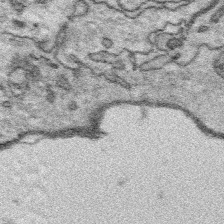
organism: Platynereis dumerilii